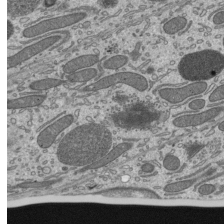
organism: Mouse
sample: Mouse epididymis efferent ductule cilia